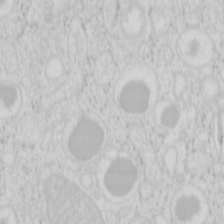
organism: Mouse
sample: Pancreas